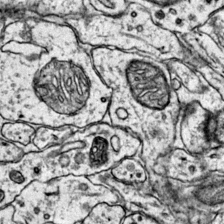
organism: Mouse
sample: Primary visual cortex